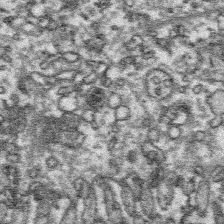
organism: Platynereis dumerilii